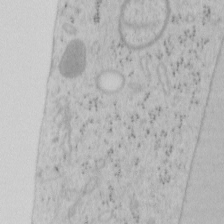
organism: Human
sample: HeLa cells